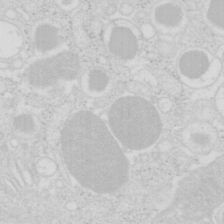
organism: Mouse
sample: Pancreas